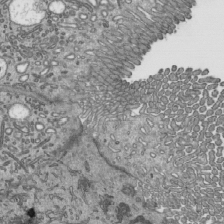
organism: Mouse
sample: Mouse epididymis efferent ductule cilia